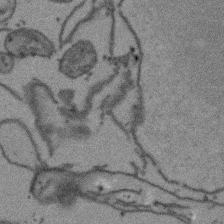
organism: Arabidopsis thaliana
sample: Root tip